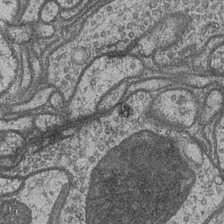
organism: Drosophila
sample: Optic medulla